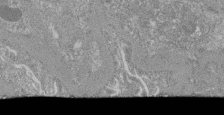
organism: Mouse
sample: Glomerulus